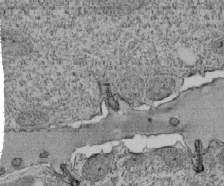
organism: Tetrahymena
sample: Cilia in tetrahymena